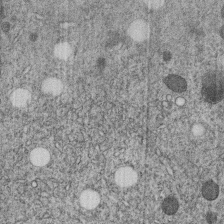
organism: C. elegans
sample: C. elegans embryo early stage